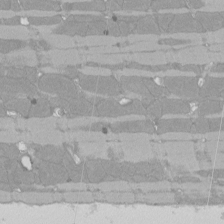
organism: Rat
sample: Left ventricle